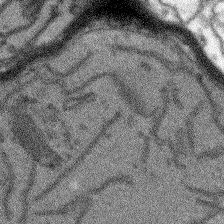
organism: Arabidopsis thaliana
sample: Root tip